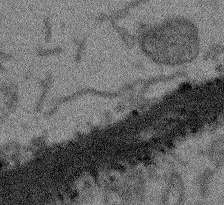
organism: Arabidopsis thaliana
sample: Root tip